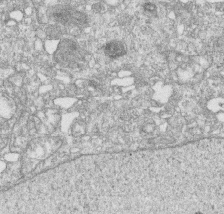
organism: Human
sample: HeLa cell HIV synapse